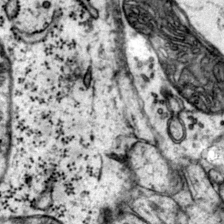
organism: Mouse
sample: Primary visual cortex